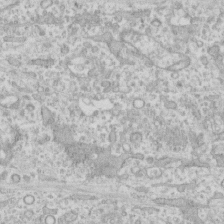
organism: Human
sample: CRL-1474